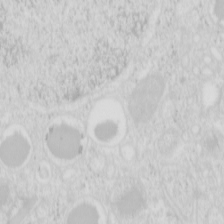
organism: Mouse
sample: Pancreas